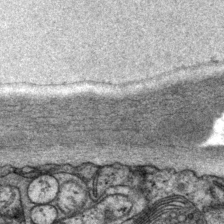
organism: P. pacificus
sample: Pharynx